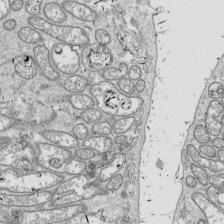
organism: Drosophila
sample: Cell division; meiosis; drosophila spermatocytes